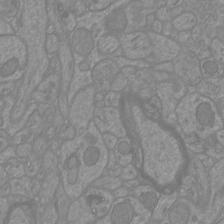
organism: Mouse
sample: Cortical neurons